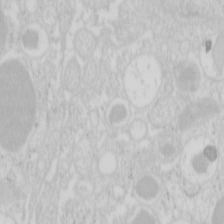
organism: Mouse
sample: Pancreas